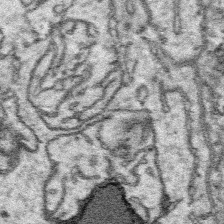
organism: Platynereis dumerilii